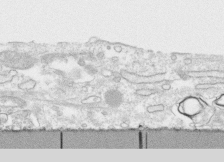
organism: Human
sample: CRL-1474